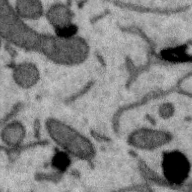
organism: Zebra finch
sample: Brain